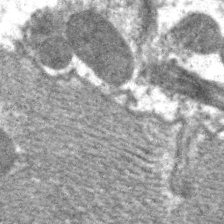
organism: C. elegans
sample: Pharynx